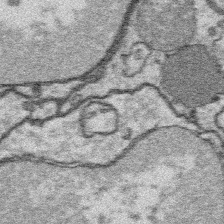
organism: Platynereis dumerilii